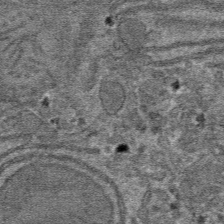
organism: Mouse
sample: Mouse hepatocytes